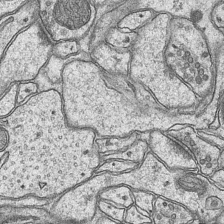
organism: Mouse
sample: CA1 Hippocampus